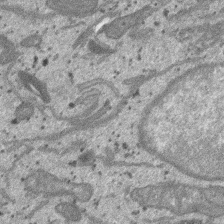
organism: Human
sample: Lung epithelial cells infected with SARS-CoV-2